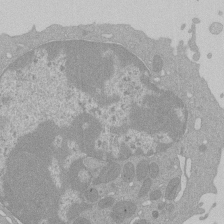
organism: Mouse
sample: Activated Pmel transgenic CD8+ T Cells